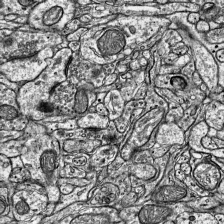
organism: Mouse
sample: Visual Cortex